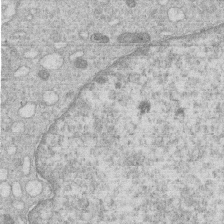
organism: Human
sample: Macrophage cells